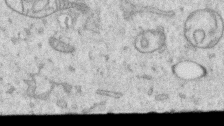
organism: Human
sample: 1205lu cells